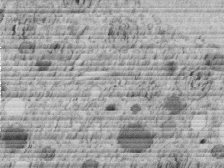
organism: C. elegans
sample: C. elegans embryo early stage